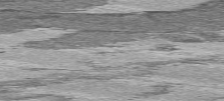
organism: C57BL Mouse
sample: Heart